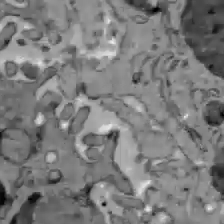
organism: C57BL Mouse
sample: Liver